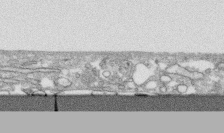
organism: Human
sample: CRL-1474